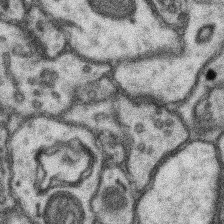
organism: Mouse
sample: Somatosensory cortex neuropil